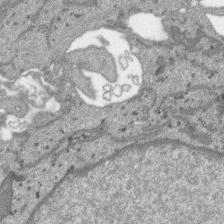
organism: Human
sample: Lung epithelial cells infected with SARS-CoV-2